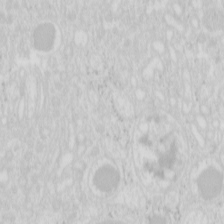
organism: Mouse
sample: Pancreas